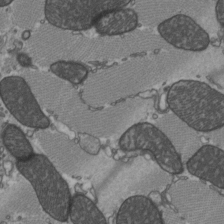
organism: C57BL Mouse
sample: Heart